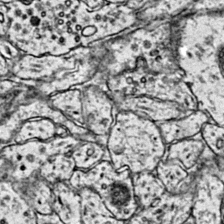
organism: Mouse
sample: Primary visual cortex